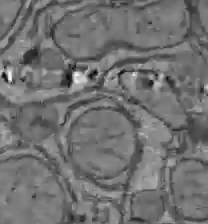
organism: C57BL Mouse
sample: Liver